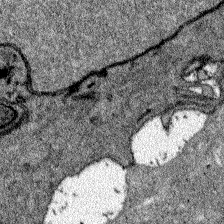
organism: Zebrafish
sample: Larval olfactory bulb